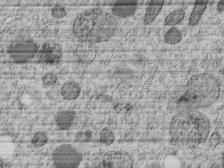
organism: C. elegans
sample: C. elegans embryo early stage